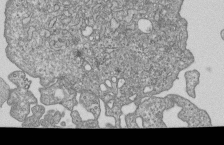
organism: Human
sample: MDA-MB-231 cells